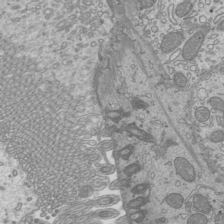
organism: Mouse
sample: Cilia; mouse epididymis